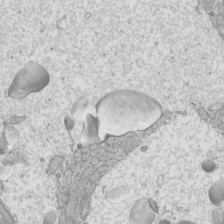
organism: Mouse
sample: Cilia; mouse epididymis